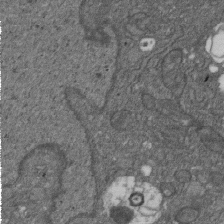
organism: Drosophila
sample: Nephrocyte